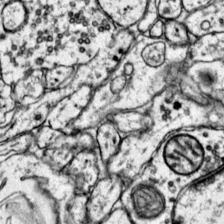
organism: Mouse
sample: Primary visual cortex